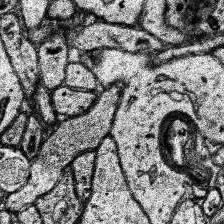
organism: Human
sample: Temporal Lobe